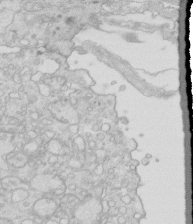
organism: Mouse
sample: Multiciliated cells